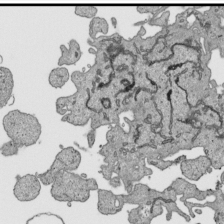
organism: Human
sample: Mitochondria in HCT116 cells